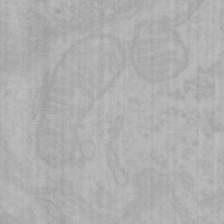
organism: Mouse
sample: Choroid plexus